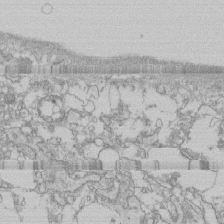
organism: Human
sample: CRL-1474